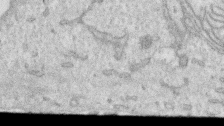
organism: Human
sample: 1205lu cells